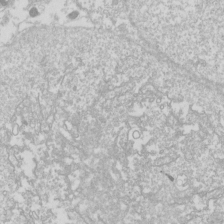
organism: Drosophila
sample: Cell division; meiosis; drosophila spermatocytes